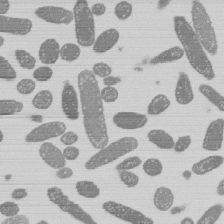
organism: E. coli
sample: Bacterial nucleoid